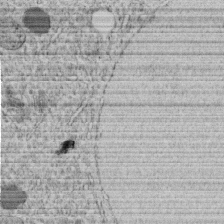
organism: C. elegans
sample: C. elegans embryo early stage